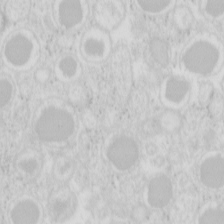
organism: Mouse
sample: Pancreas